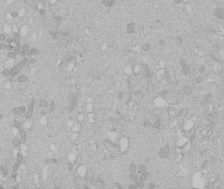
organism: Human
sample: Melanocyte Keratinocyte synapse skin construct